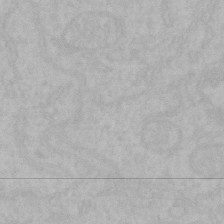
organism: Mouse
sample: Choroid plexus